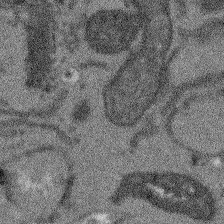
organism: Arabidopsis thaliana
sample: Root tip